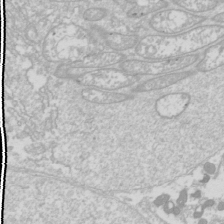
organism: Drosophila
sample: Cell division; meiosis; drosophila spermatocytes